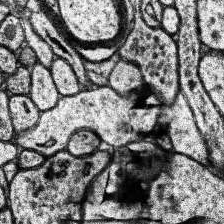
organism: Human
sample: Temporal Lobe